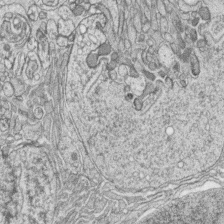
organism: Zebrafish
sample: synaptic ribbons in rod cells and cone cells